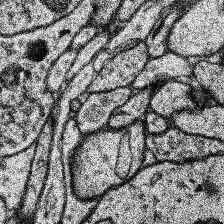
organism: Human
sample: Temporal Lobe